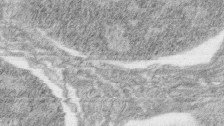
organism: Zebrafish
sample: synaptic ribbons in rod cells and cone cells